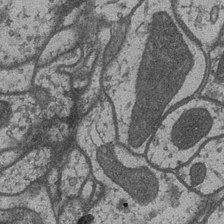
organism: Drosophila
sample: Optic medulla